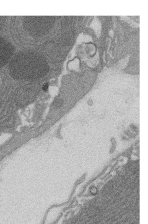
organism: Rat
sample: Salivary granule